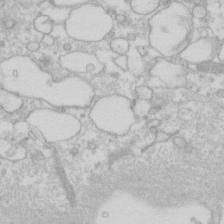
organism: Human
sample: Fibroblast cells